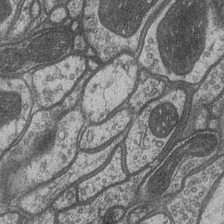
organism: Drosophila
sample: Optic medulla